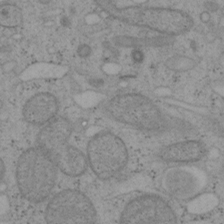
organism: Mouse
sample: OT-I killer T cells with ID8 ovarian cancer cells